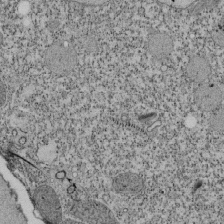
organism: Tetrahymena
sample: Cilia in tetrahymena